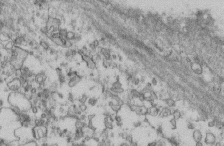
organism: Mouse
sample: Cilia; retinal pigment epithelium